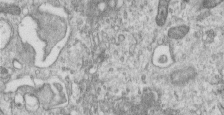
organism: Human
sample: Centriole in RPE cells